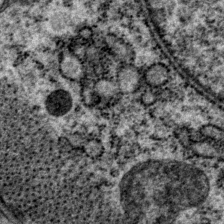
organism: P. pacificus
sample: Pharynx